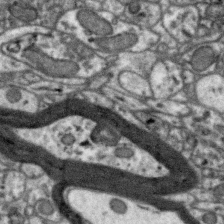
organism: Zebra finch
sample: Brain